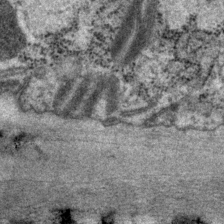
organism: P. pacificus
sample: Pharynx